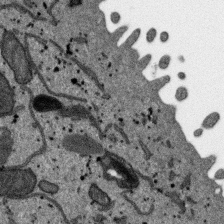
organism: Human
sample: Lung epithelial cells, uninfected (mock) control